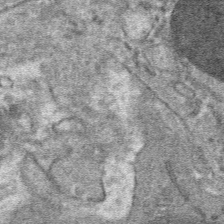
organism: Mouse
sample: Mouse hepatocytes